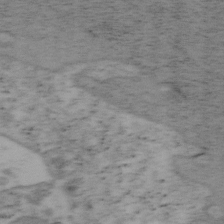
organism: Mouse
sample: OT-I killer T cells with ID8 ovarian cancer cells